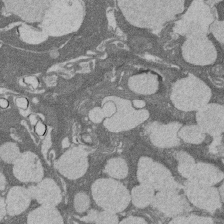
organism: Rat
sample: Salivary granule